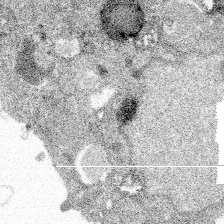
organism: Spongilla lacustris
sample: Multiple